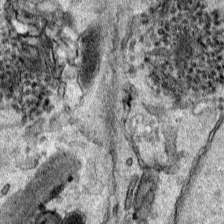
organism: Human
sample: Mitochondria in HCT116 cells